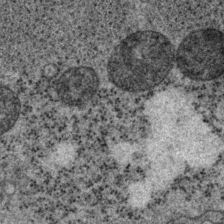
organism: P. pacificus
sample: Pharynx